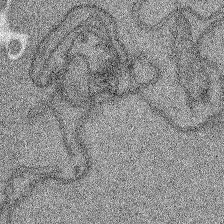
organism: Human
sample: HeLa cells